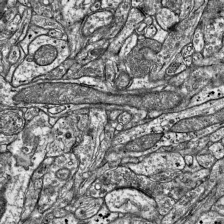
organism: Mouse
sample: Visual Cortex